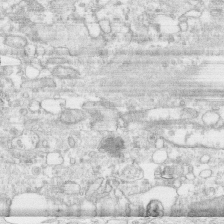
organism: Human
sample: CRL-1474